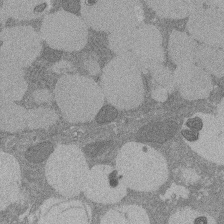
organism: Rat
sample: Salivary granule